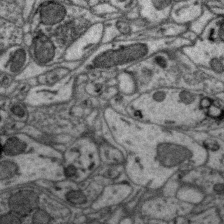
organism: Zebra finch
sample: Brain